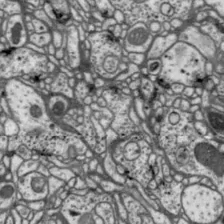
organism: Drosophila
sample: Protocerebral bridge